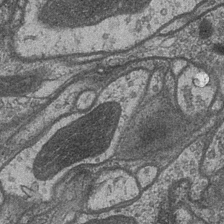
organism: Drosophila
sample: Optic medulla